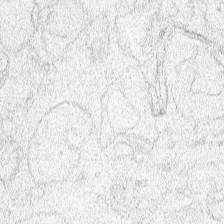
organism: Human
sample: Mitochondria in HCT116 cells